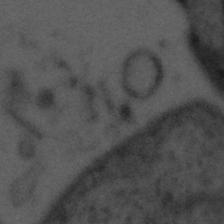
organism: Tuwongella immobilis